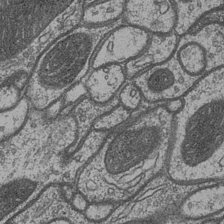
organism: Drosophila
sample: Optic medulla